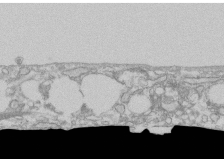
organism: Human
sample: CRL-1474